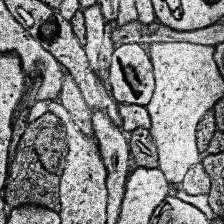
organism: Human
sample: Temporal Lobe